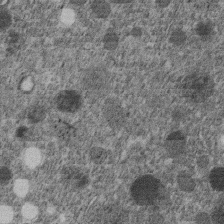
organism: C. elegans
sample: C. elegans embryo early stage